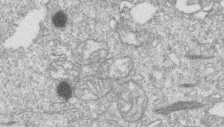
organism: Human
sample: HeLa cell HIV synapse